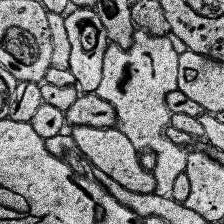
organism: Human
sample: Temporal Lobe